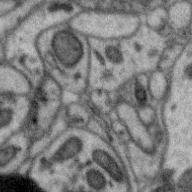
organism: Zebra finch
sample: Brain